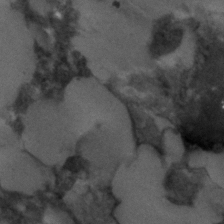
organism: C. elegans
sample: C. elegans embryo